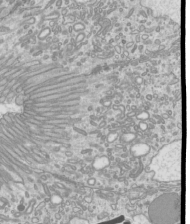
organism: Mouse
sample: Cilia; mouse epididymis